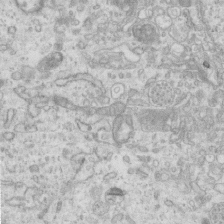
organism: Mouse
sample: Centriole in ependymal cells